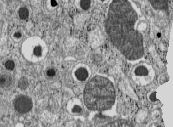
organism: C57BL Mouse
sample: Pancreatic islet